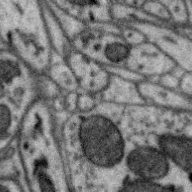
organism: Zebra finch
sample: Brain